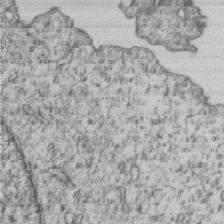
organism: Human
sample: MDA-MB-231 cells